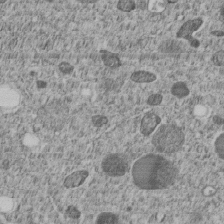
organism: C. elegans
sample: C. elegans embryo early stage